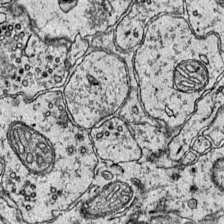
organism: Mouse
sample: Primary visual cortex